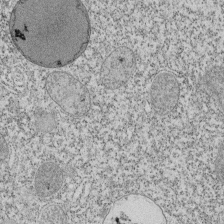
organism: Tetrahymena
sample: Cilia in tetrahymena